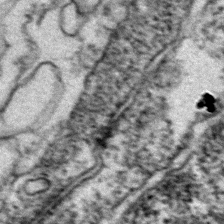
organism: Zebrafish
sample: Zebrafish embryo